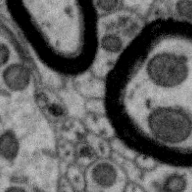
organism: Zebra finch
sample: Brain